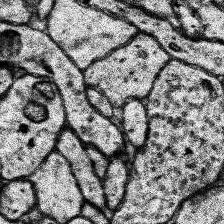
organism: Human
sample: Temporal Lobe